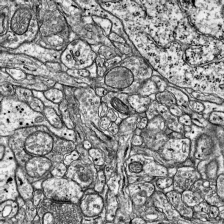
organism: Mouse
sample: Visual Cortex